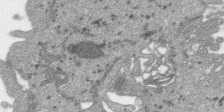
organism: Human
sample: Lung epithelial cells infected with SARS-CoV-2